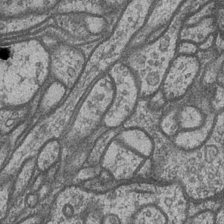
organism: Drosophila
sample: Optic medulla